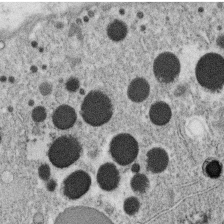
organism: C. elegans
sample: C. elegans oocyte; sperm cells